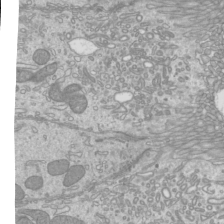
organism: Mouse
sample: Cilia; mouse epididymis